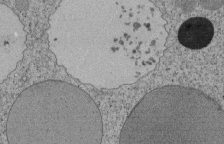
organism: Tetrahymena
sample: Cilia in tetrahymena